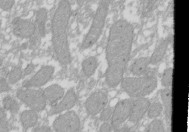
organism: Xenopus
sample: Cilia; centrioles in frog embryo cells